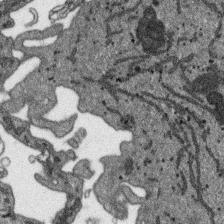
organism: Human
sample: Lung epithelial cells infected with SARS-CoV-2